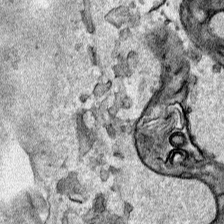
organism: Human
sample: Mitochondria in HCT116 cells